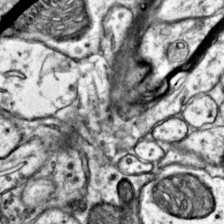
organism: Mouse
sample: Primary visual cortex